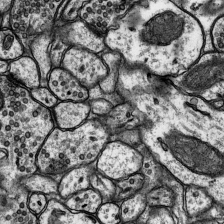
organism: Rat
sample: Hippocampus